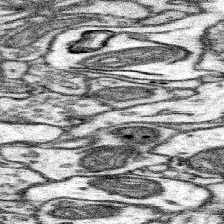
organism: Mouse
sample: Somatosensory cortex neuropil